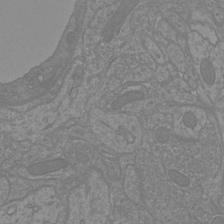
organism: Mouse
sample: Cortical neurons